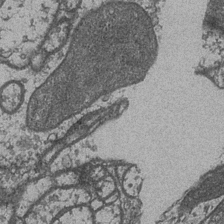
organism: Drosophila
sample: Optic medulla